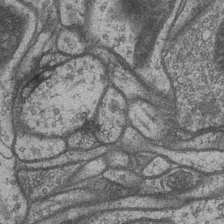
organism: Drosophila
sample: Optic medulla